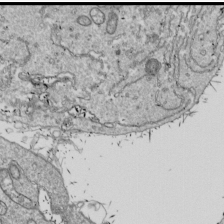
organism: Drosophila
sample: Cell division; meiosis; drosophila spermatocytes